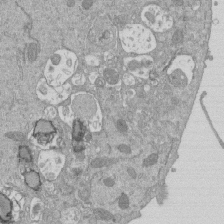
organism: Mouse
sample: ED-1 cell nuclei; centrioles